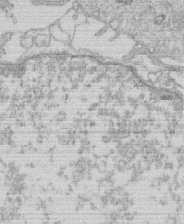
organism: Human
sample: Macrophage cells